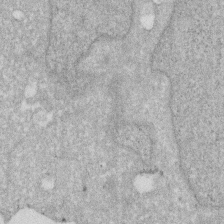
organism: Human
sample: HIV infected U937 cells